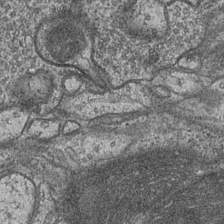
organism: Drosophila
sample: Optic medulla